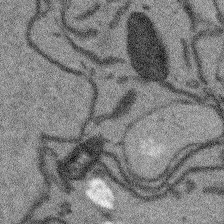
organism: Arabidopsis thaliana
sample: Root tip